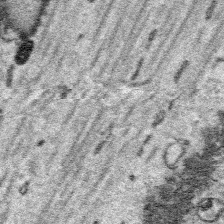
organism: Platynereis dumerilii